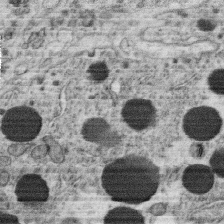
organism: C. elegans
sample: C. elegans oocyte; sperm cells